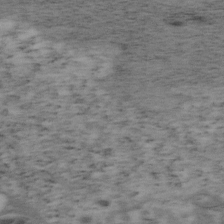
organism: Mouse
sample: OT-I killer T cells with ID8 ovarian cancer cells